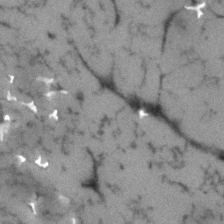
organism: Human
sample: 1205lu cells